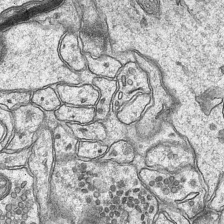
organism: Mouse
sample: CA1 Hippocampus